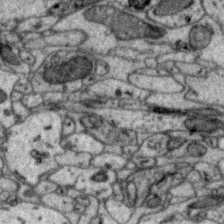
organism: Zebra finch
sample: Brain